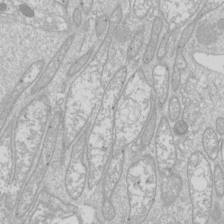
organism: Drosophila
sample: Cell division; meiosis; drosophila spermatocytes